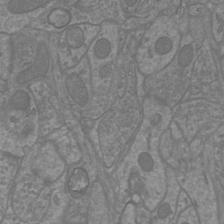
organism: Mouse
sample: Cortical neurons